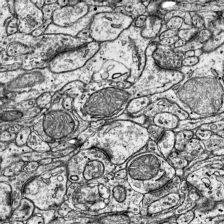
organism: Mouse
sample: Visual Cortex